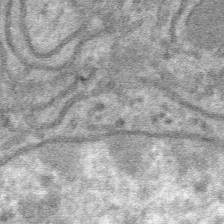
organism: Mouse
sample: Mouse hepatocytes